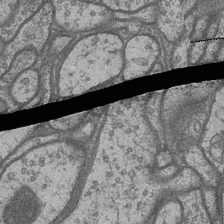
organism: Drosophila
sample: Optic medulla